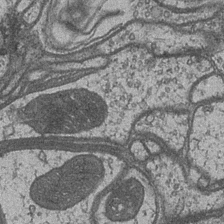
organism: Drosophila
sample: Optic medulla